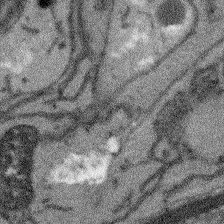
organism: Arabidopsis thaliana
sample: Root tip